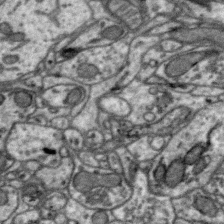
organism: Zebra finch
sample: Brain